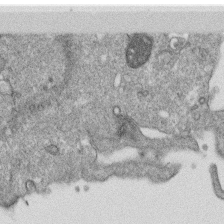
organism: African green monkey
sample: Vero E6 cells infected with SARS-CoV-2